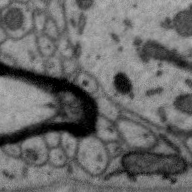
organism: Zebra finch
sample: Brain